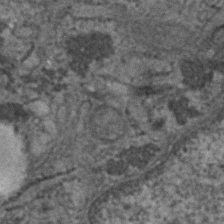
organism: Human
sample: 1205lu cells